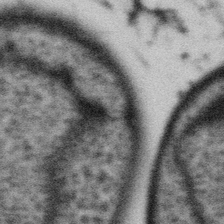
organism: Gemmata obscuriglobus